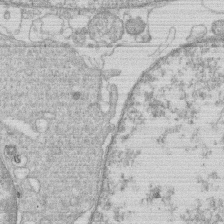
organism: Human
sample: Macrophage cells